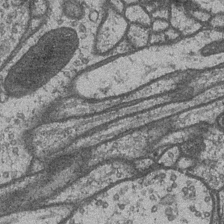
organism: Drosophila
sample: Optic medulla